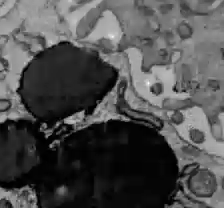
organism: C57BL Mouse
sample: Liver